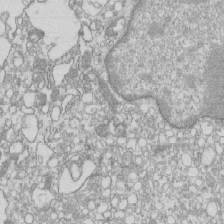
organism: Mouse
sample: Macrophages